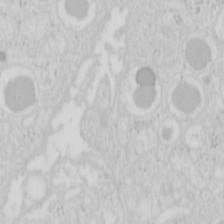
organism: Mouse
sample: Pancreas